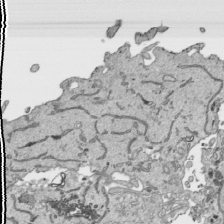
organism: Human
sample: Mitochondria in HCT116 cells